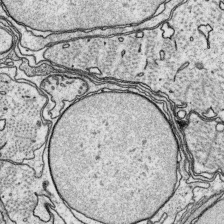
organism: Platynereis dumerilii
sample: Parapodia